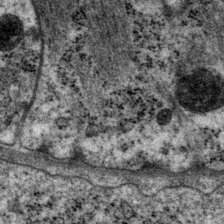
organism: P. pacificus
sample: Pharynx